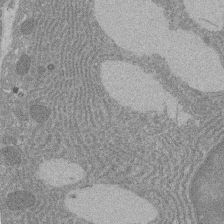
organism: Rat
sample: Salivary granule